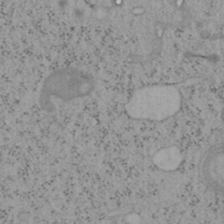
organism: Mouse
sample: OT-I killer T cells with ID8 ovarian cancer cells